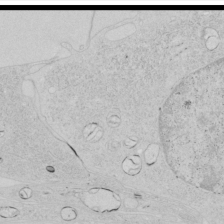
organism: Human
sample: Mitochondria in HCT116 cells